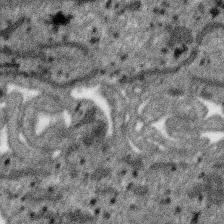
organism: Human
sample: Lung epithelial cells infected with SARS-CoV-2